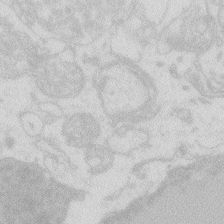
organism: Zebrafish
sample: Macrophage